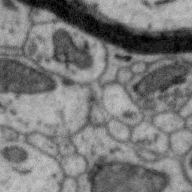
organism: Zebra finch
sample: Brain